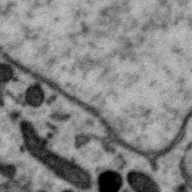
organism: Zebra finch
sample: Brain